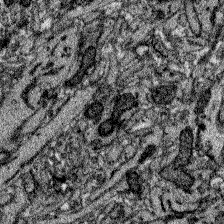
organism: Zebrafish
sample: Larval olfactory bulb